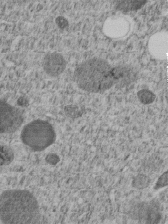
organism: C. elegans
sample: C. elegans embryo early stage